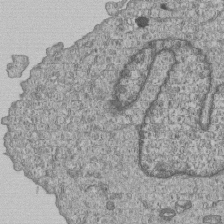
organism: Human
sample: MDA-MB-231 cells